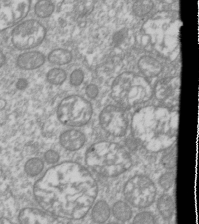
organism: Drosophila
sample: Cell division; meiosis; drosophila spermatocytes